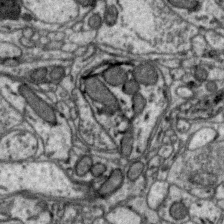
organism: Zebra finch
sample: Brain